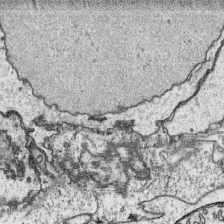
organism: Platynereis dumerilii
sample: Parapodia